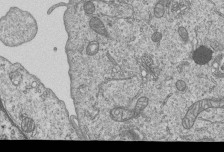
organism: Human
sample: MDA-MB-231 cells